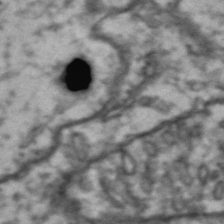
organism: Drosophila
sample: Brain